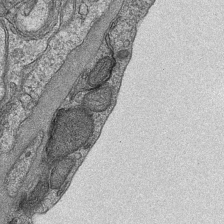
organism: Mouse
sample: CA1 Hippocampus